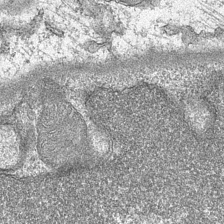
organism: Mouse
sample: CA1 Hippocampus